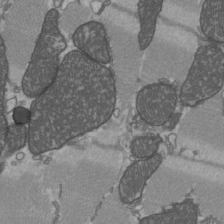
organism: C57BL Mouse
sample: Heart